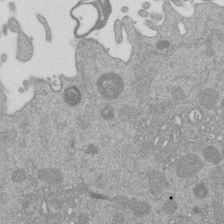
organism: Mouse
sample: Dividing mouse embryo 1 cell stage